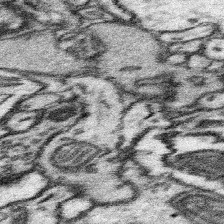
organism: Mouse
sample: Somatosensory cortex neuropil